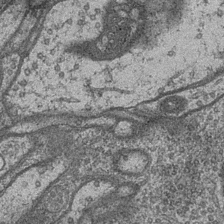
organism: Drosophila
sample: Optic medulla